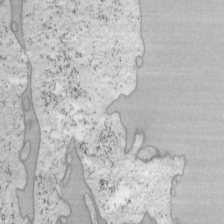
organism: Mouse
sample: OT-I killer T cells with ID8 ovarian cancer cells